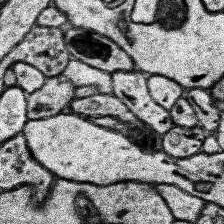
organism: Human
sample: Temporal Lobe